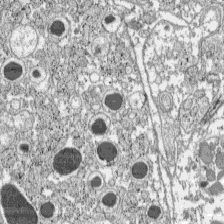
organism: C57BL Mouse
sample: Pancreatic islet